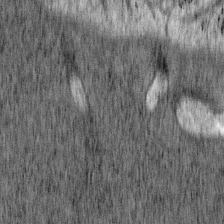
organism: Human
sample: HeLa cells